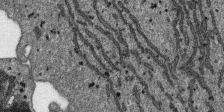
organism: Human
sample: Lung epithelial cells infected with SARS-CoV-2